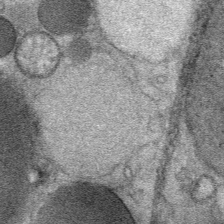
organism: Mouse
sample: Mouse Salivary gland